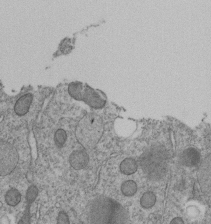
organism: C. elegans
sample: C. elegans embryo early stage